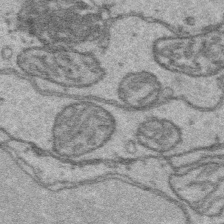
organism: Platynereis dumerilii